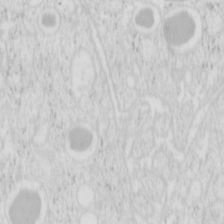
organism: Mouse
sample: Pancreas